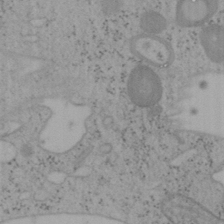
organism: Mouse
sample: OT-I killer T cells with ID8 ovarian cancer cells